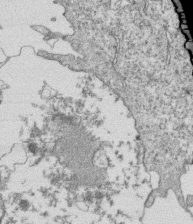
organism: Human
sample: HeLa cell HIV synapse